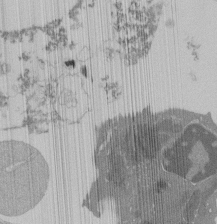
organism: Mouse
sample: Activated Pmel transgenic CD8+ T Cells